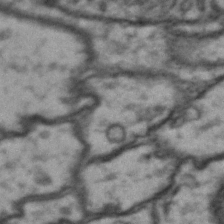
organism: Drosophila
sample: Brain